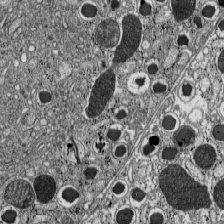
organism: C57BL Mouse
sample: Pancreatic islet